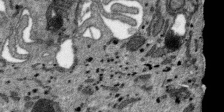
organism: Human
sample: Lung epithelial cells, uninfected (mock) control